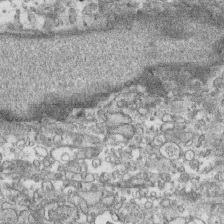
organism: Human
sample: CRL-1474